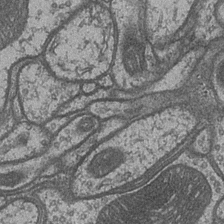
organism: Drosophila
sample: Optic medulla